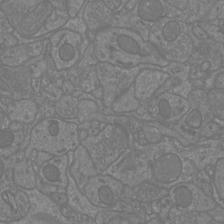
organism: Mouse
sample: Cortical neurons